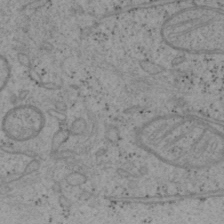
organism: Human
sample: HeLa cells